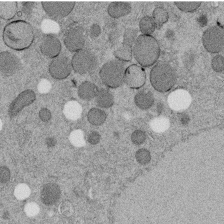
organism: C. elegans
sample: C. elegans embryo early stage